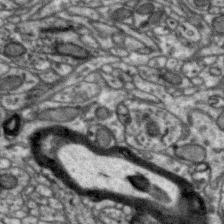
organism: Zebra finch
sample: Brain